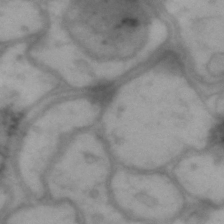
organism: Drosophila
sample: Brain